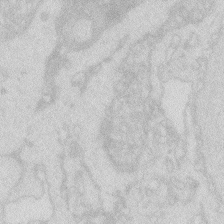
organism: Zebrafish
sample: Macrophage